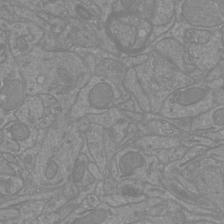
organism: Mouse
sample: Cortical neurons